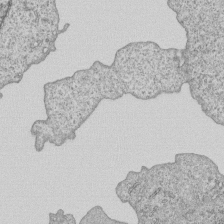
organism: Human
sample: MDA-MB-231 cells